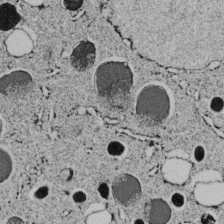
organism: C. elegans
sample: C. elegans embryo early stage